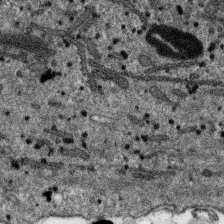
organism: Human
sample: Lung epithelial cells infected with SARS-CoV-2